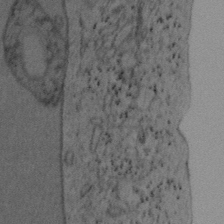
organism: Human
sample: HeLa cells